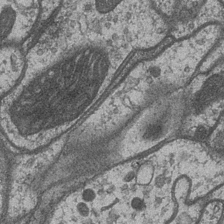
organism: Drosophila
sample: Optic medulla